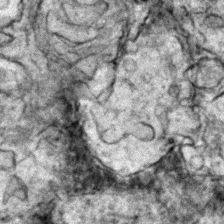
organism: Zebrafish